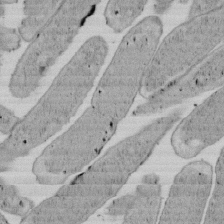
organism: E. coli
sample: Bacterial nucleoid